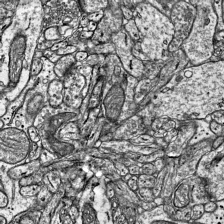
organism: Mouse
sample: Visual Cortex